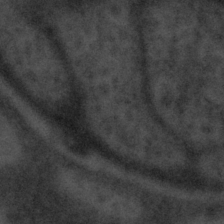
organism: Tuwongella immobilis